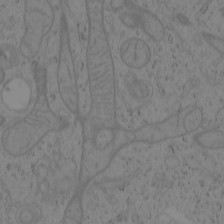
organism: Human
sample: HeLa cells